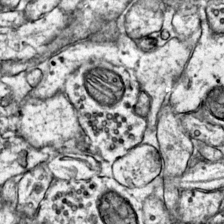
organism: Mouse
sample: Primary visual cortex